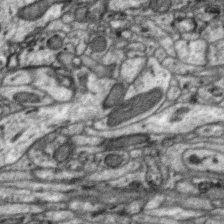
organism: Zebra finch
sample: Brain